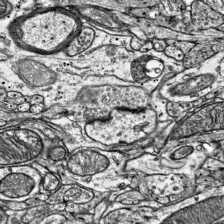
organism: Mouse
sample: Visual Cortex